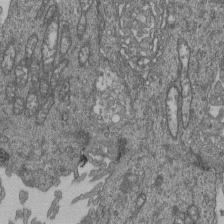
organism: Human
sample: Retinal organoid Rod and Cone cells